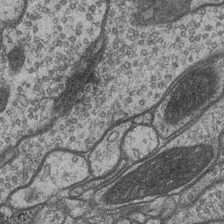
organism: Drosophila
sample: Optic medulla